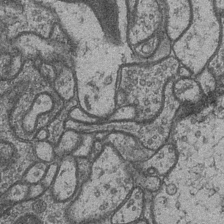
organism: Drosophila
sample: Optic medulla